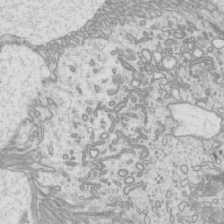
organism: Mouse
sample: Cilia; mouse epididymis